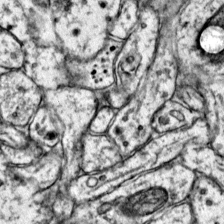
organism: Mouse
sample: Primary visual cortex